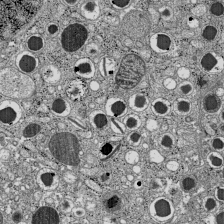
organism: C57BL Mouse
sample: Pancreatic islet